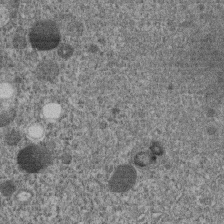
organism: C. elegans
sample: C. elegans embryo early stage